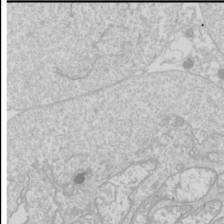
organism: Drosophila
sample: Cell division; meiosis; drosophila spermatocytes